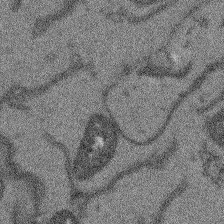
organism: Arabidopsis thaliana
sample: Root tip